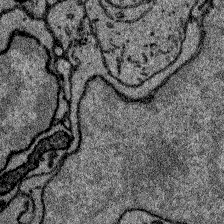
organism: Zebrafish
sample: Larval olfactory bulb